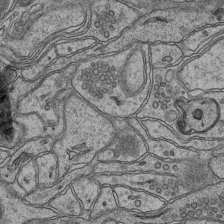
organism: Mouse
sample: CA1 Hippocampus